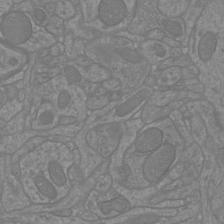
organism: Mouse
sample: Cortical neurons